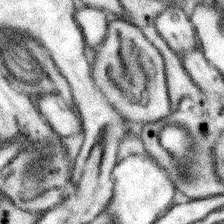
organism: Mouse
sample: Somatosensory cortex neuropil